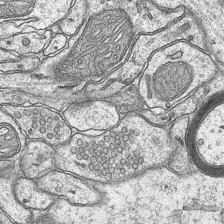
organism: Mouse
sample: CA1 Hippocampus